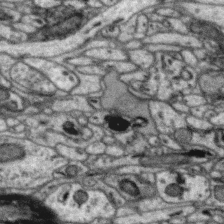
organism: Zebra finch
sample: Brain